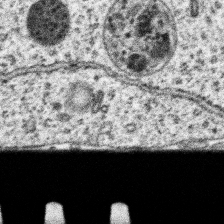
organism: Human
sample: HeLa cells